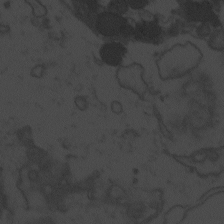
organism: Zebrafish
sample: Macrophage infected with Toxoplasma gondii